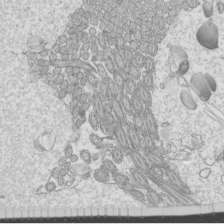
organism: Mouse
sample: Cilia; mouse epididymis